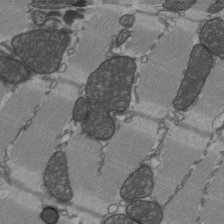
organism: C57BL Mouse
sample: Heart